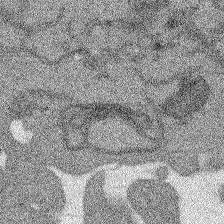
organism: Human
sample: HeLa cells